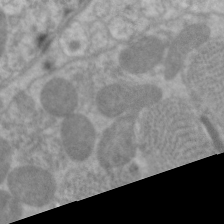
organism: C. elegans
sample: Pharynx